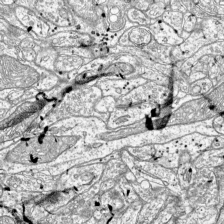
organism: Mouse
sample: Visual Cortex